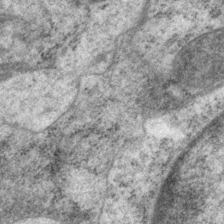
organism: P. pacificus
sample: Pharynx